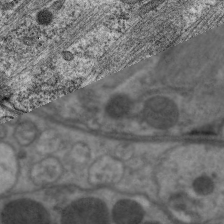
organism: C. elegans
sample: Pharynx